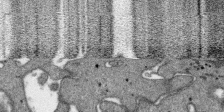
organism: Human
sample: Lung epithelial cells, uninfected (mock) control